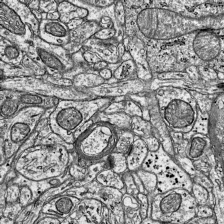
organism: Mouse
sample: Visual Cortex